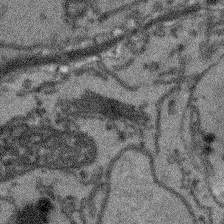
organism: Arabidopsis thaliana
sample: Root tip